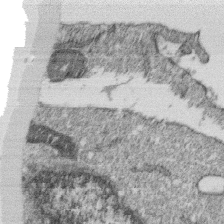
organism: African green monkey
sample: Vero E6 cells infected with SARS-CoV-2